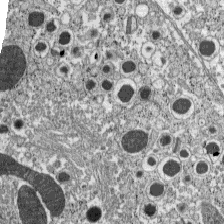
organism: C57BL Mouse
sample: Pancreatic islet